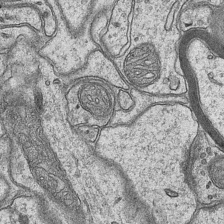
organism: Mouse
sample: CA1 Hippocampus